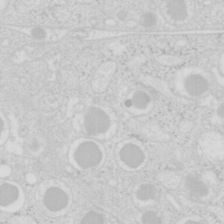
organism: Mouse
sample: Pancreas